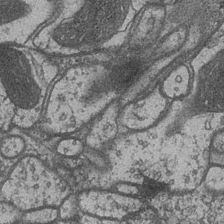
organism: Drosophila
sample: Optic medulla